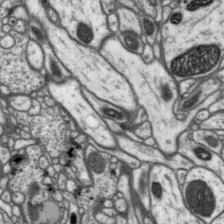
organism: Drosophila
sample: Protocerebral bridge